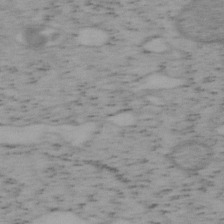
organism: Mouse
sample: OT-I killer T cells with ID8 ovarian cancer cells